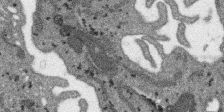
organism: Human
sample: Lung epithelial cells infected with SARS-CoV-2